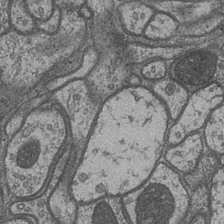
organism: Drosophila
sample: Optic medulla